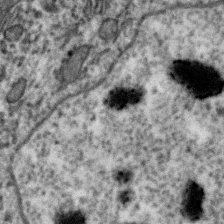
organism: Zebra finch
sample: Brain